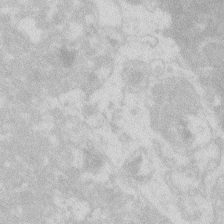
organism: Zebrafish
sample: Macrophage